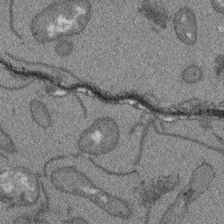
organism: Arabidopsis thaliana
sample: Root tip